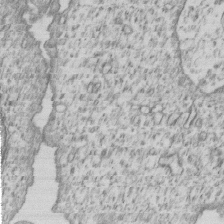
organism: Human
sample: MDA-MB-231 cells